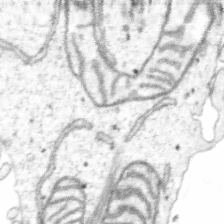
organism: Human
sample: HeLa cells